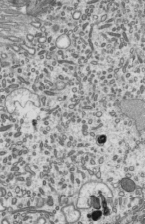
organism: Mouse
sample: Mouse epididymis efferent ductule cilia